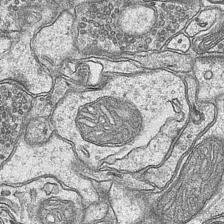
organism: Mouse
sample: CA1 Hippocampus